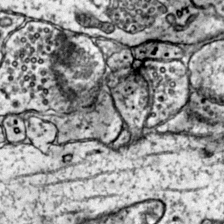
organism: Mouse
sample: Primary visual cortex